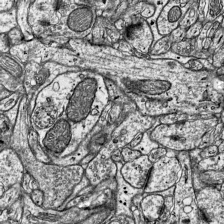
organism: Mouse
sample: Visual Cortex